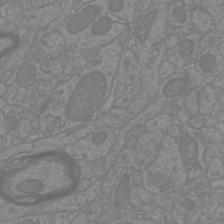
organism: Mouse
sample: Cortical neurons